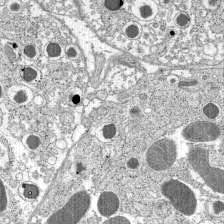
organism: C57BL Mouse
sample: Pancreatic islet